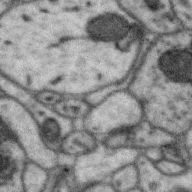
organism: Zebra finch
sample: Brain